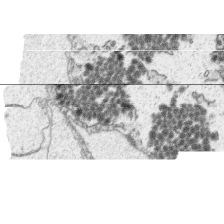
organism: Platynereis dumerilii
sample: Parapodia